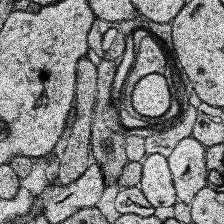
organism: Human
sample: Temporal Lobe